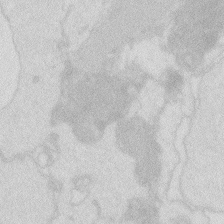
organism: Zebrafish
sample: Macrophage